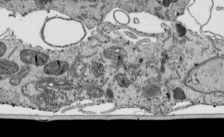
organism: Human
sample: Mitochondria in HCT116 cells